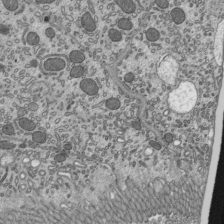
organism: Mouse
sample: Mouse epididymis efferent ductule cilia